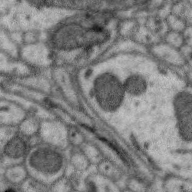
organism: Zebra finch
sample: Brain